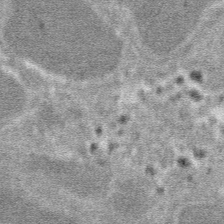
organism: Mouse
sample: Mouse hepatocytes